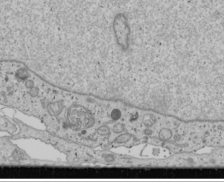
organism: Human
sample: Mitochondria in U2OS cells